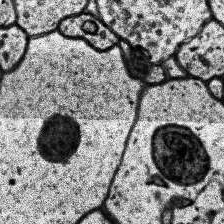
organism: Human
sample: Temporal Lobe